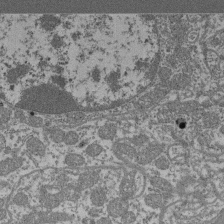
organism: Mouse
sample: Glomerulus